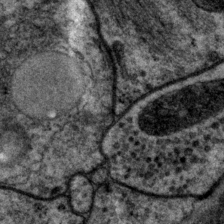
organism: P. pacificus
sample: Pharynx